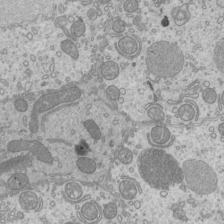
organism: Mouse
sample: Cilia; mouse epididymis